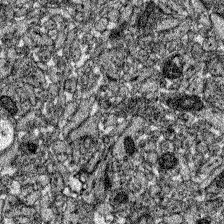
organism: Zebrafish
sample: Larval olfactory bulb